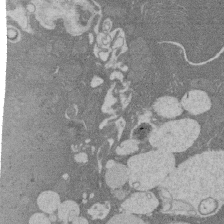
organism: Rat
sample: Salivary granule